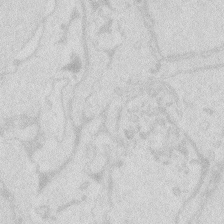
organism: Zebrafish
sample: Macrophage